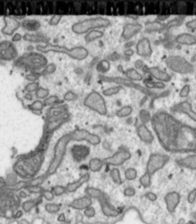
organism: Toxoplasma gondii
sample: Parasites in a vacuole inside a host cell